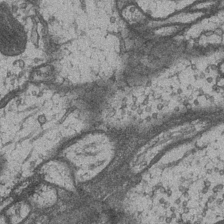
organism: Drosophila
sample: Optic medulla